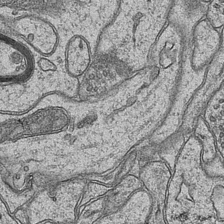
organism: Mouse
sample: CA1 Hippocampus